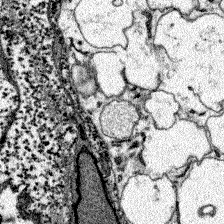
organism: Zebrafish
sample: Larval olfactory bulb